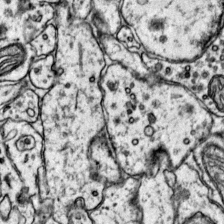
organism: Mouse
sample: Primary visual cortex